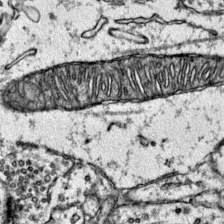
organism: Mouse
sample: Primary visual cortex